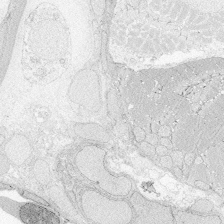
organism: Zebrafish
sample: Whole-Brain